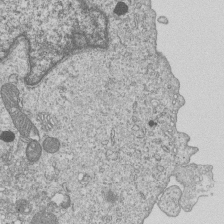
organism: Human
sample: MDA-MB-231 cells